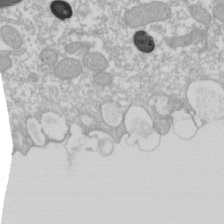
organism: Xenopus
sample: Cilia; centrioles in frog embryo cells